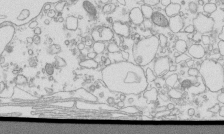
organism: Mouse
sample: Macrophages